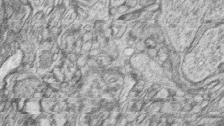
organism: Zebrafish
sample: synaptic ribbons in rod cells and cone cells